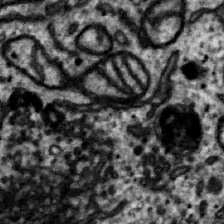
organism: Human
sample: HeLa cells